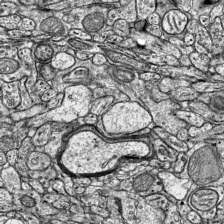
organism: Mouse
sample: Visual Cortex